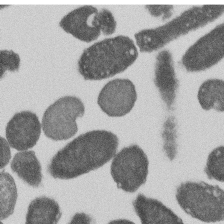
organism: E. coli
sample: Bacterial nucleoid